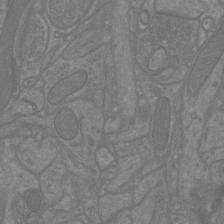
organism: Mouse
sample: Cortical neurons